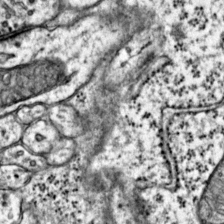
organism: Mouse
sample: Primary visual cortex